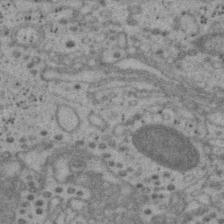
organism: Human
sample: HeLa cells